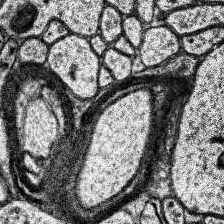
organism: Human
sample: Temporal Lobe